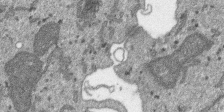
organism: Human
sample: Lung epithelial cells infected with SARS-CoV-2